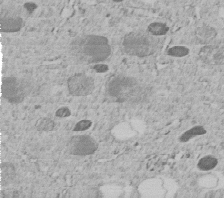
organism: C. elegans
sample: C. elegans embryo early stage